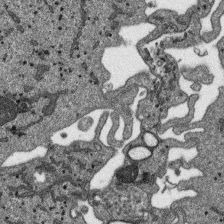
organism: Human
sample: Lung epithelial cells infected with SARS-CoV-2